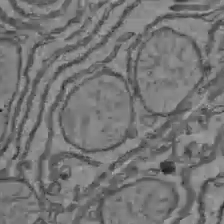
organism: C57BL Mouse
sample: Liver